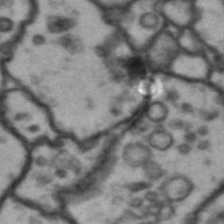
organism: Drosophila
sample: Brain